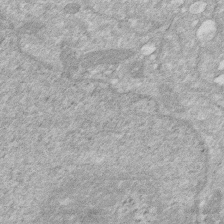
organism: Human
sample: HIV infected U937 cells